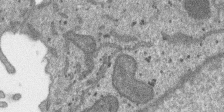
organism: Human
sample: Lung epithelial cells infected with SARS-CoV-2